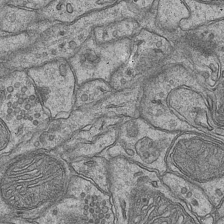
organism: Mouse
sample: CA1 Hippocampus